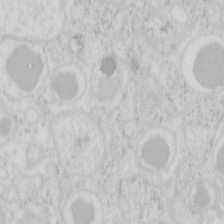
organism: Mouse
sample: Pancreas